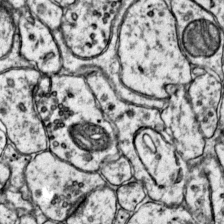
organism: Mouse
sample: Primary visual cortex